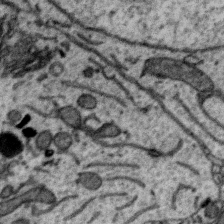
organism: Zebra finch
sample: Brain